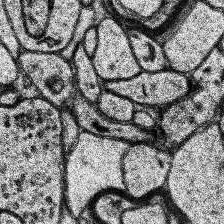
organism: Human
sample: Temporal Lobe